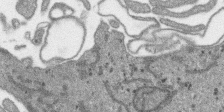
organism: Human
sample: Lung epithelial cells infected with SARS-CoV-2